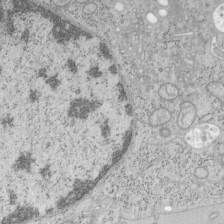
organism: Mouse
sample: OT-I killer T cells with ID8 ovarian cancer cells